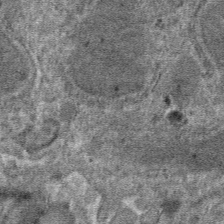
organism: Mouse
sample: Mouse hepatocytes